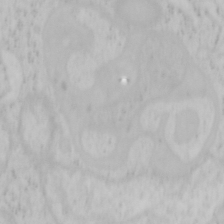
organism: Mouse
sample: OT-I killer T cells with ID8 ovarian cancer cells